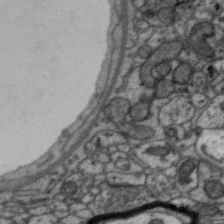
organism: Zebra finch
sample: Brain